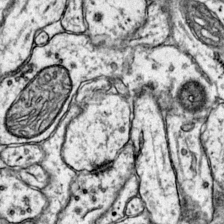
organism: Mouse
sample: Primary visual cortex